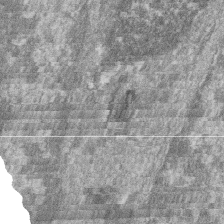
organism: Zebrafish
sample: Cilia; retinal pigment epithelium